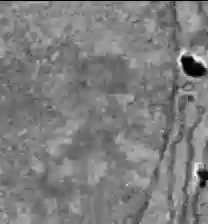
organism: C57BL Mouse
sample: Liver